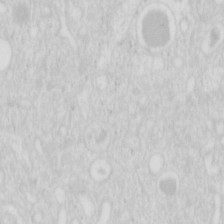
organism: Mouse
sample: Pancreas